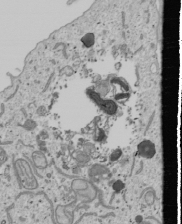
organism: Human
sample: Mitochondria in U2OS cells